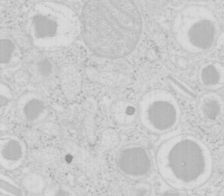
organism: Mouse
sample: Pancreas